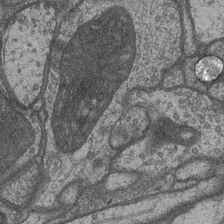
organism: Drosophila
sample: Optic medulla